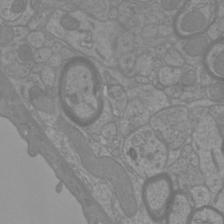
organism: Mouse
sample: Cortical neurons